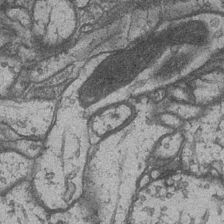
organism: Drosophila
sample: Optic medulla